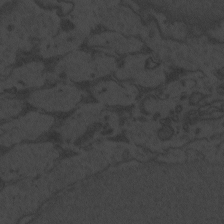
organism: Zebrafish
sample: Macrophage infected with Toxoplasma gondii